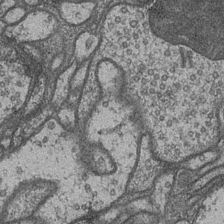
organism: Drosophila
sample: Optic medulla